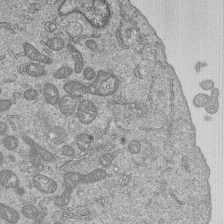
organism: Human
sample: MDA-MB-231 cells